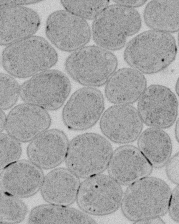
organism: E. coli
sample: Bacterial nucleoid